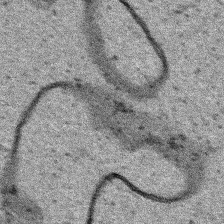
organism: Human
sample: Mitochondria in HCT116 cells